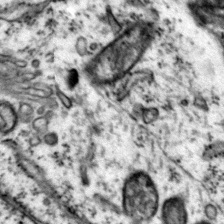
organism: Mouse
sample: Primary visual cortex